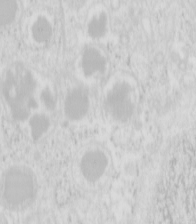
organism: Mouse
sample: Pancreas